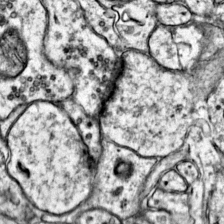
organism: Mouse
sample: Primary visual cortex